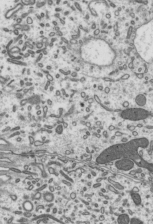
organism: Mouse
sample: Mouse epididymis efferent ductule cilia